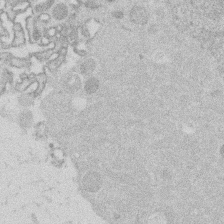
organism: Mouse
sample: Dividing mouse embryo 1 cell stage